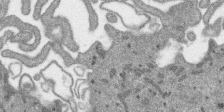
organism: Human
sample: Lung epithelial cells infected with SARS-CoV-2